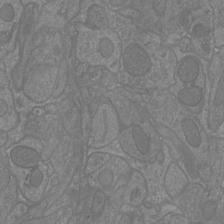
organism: Mouse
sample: Cortical neurons